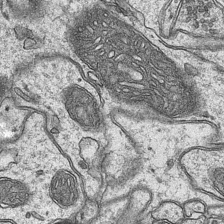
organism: Mouse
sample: CA1 Hippocampus